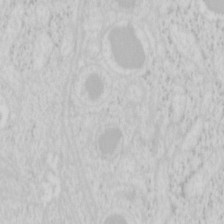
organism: Mouse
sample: Pancreas